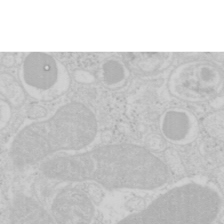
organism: Mouse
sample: Pancreas